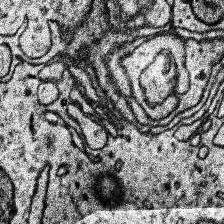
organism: Human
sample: Temporal Lobe